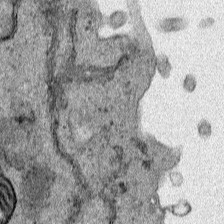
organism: Human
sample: Mitochondria in HCT116 cells